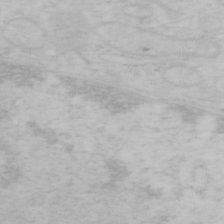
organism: Mouse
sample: OT-I killer T cells with ID8 ovarian cancer cells